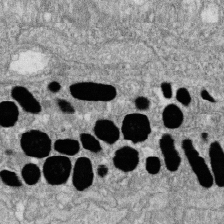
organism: Zebrafish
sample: Cilia; retinal pigment epithelium